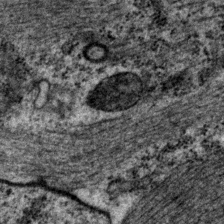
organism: P. pacificus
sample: Pharynx